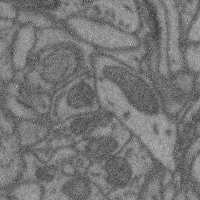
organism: Mouse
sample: Cerebral cortex